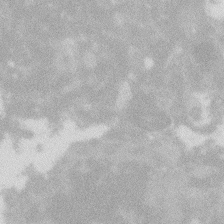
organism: Zebrafish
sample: Macrophage